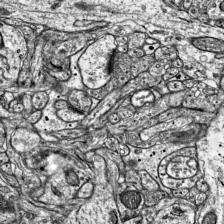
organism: Mouse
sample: Visual Cortex